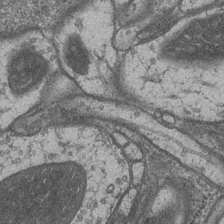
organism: Drosophila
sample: Optic medulla